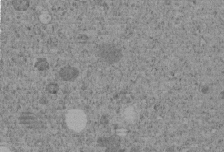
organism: C. elegans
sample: C. elegans embryo early stage